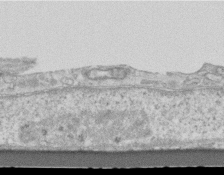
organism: Mouse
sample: Centriole in ependymal cells